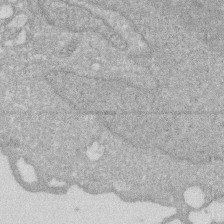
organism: Human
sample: HIV infected U937 cells